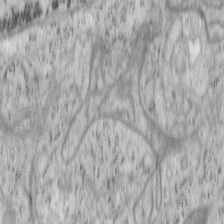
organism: Human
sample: HeLa cells